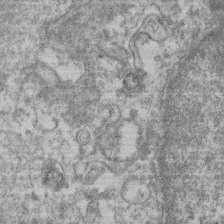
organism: Mouse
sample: T cell stromal cell synapse